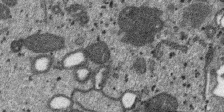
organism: Human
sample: Lung epithelial cells infected with SARS-CoV-2